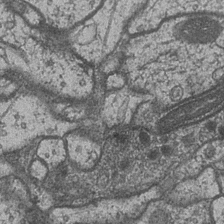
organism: Drosophila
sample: Optic medulla